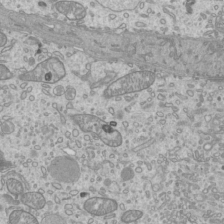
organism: Mouse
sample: Cilia; mouse epididymis